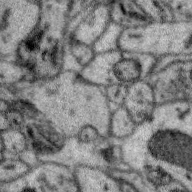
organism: Zebra finch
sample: Brain